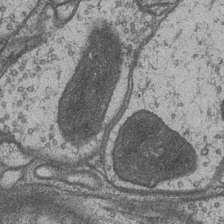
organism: Drosophila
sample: Optic medulla